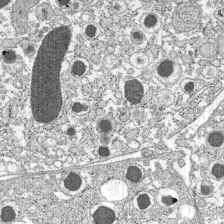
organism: C57BL Mouse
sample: Pancreatic islet